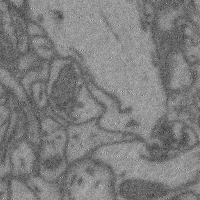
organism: Mouse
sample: Cerebral cortex